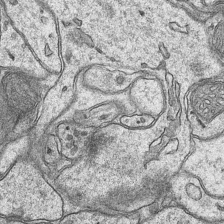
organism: Mouse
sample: CA1 Hippocampus